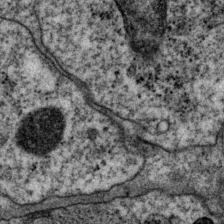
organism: P. pacificus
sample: Pharynx